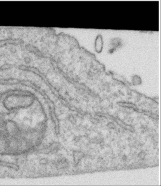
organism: Human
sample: Centriole in RPE cells